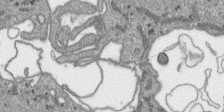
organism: Human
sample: Lung epithelial cells infected with SARS-CoV-2